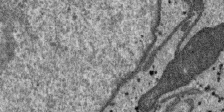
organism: Human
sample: Lung epithelial cells, uninfected (mock) control